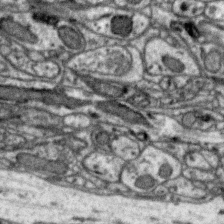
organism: Zebra finch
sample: Brain